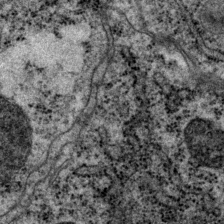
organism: P. pacificus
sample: Pharynx